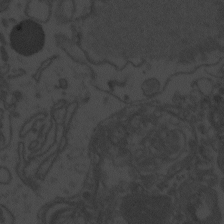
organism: Zebrafish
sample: Macrophage infected with Toxoplasma gondii